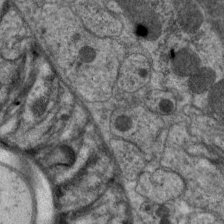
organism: C. elegans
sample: Pharynx